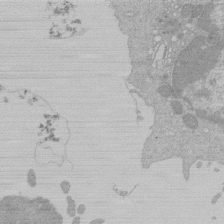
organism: Mouse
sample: Activated Pmel transgenic CD8+ T Cells